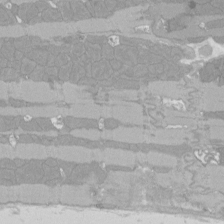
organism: Rat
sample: Left ventricle